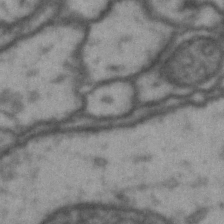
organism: Drosophila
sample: Brain